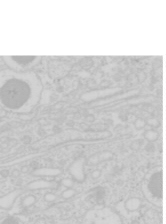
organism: Mouse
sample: Pancreas